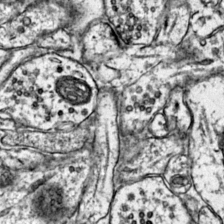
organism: Mouse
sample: Primary visual cortex